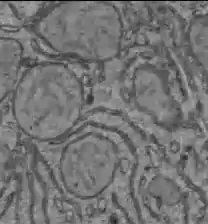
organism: C57BL Mouse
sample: Liver